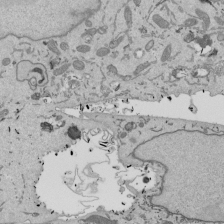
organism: Mouse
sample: ED-1 cell nuclei; centrioles